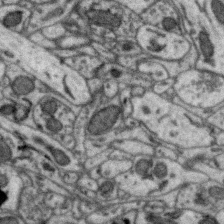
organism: Zebra finch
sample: Brain